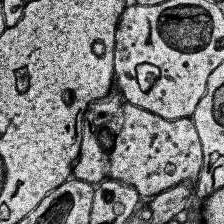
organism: Human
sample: Temporal Lobe